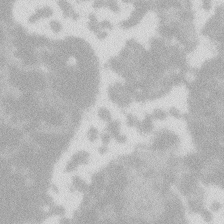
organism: Zebrafish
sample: Macrophage